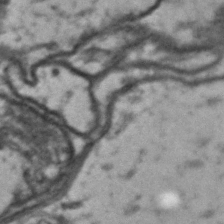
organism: Drosophila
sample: Brain